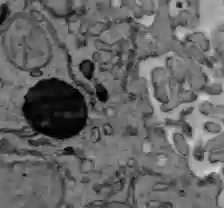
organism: C57BL Mouse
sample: Liver